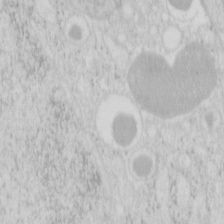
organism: Mouse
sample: Pancreas